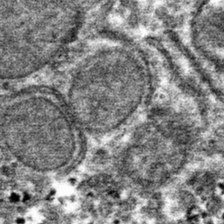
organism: Mouse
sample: Mouse hepatocytes